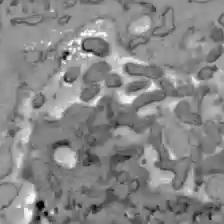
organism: C57BL Mouse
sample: Liver